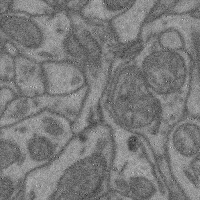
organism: Mouse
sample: Cerebral cortex